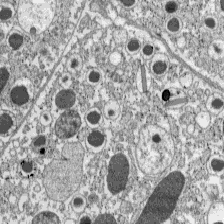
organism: C57BL Mouse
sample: Pancreatic islet